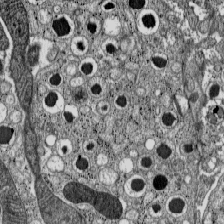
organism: C57BL Mouse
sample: Pancreatic islet